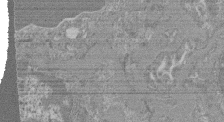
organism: Mouse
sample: Glomerulus